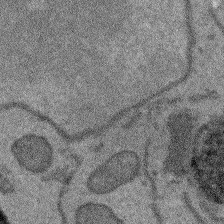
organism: Arabidopsis thaliana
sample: Root tip